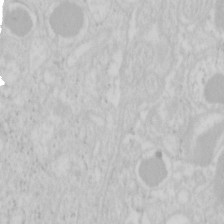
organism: Mouse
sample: Pancreas